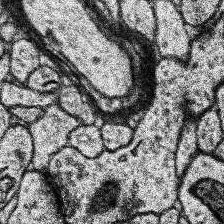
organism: Human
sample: Temporal Lobe